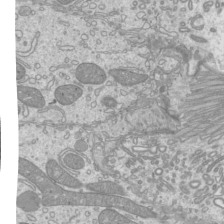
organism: Mouse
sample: Cilia; mouse epididymis